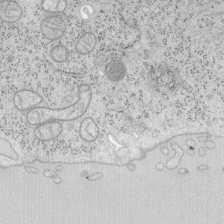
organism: Mouse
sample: OT-I killer T cells with ID8 ovarian cancer cells